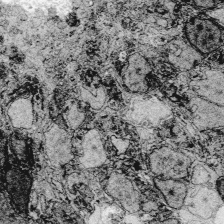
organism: Zebrafish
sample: Whole-Brain